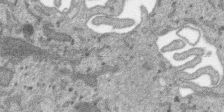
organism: Human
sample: Lung epithelial cells infected with SARS-CoV-2